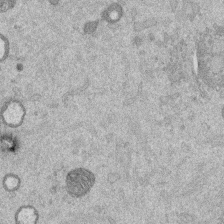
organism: Mouse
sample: Dividing mouse embryo 1 cell stage